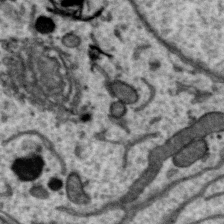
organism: Zebra finch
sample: Brain